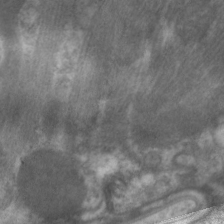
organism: C. elegans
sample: Pharynx